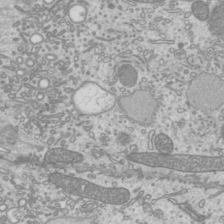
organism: Mouse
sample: Cilia; mouse epididymis